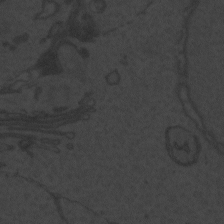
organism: Zebrafish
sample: Macrophage infected with Toxoplasma gondii